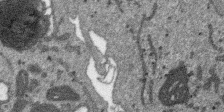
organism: Human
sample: Lung epithelial cells infected with SARS-CoV-2